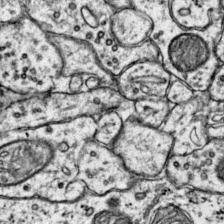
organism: Mouse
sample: Primary visual cortex